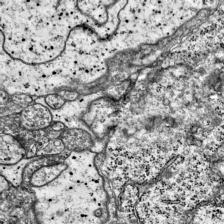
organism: Mouse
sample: Visual Cortex